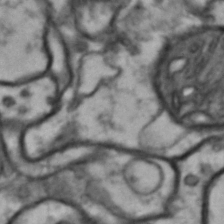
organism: Drosophila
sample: Brain